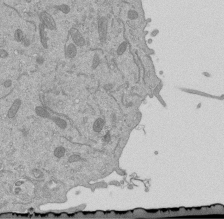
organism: Mouse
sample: ED-1 cell nuclei; centrioles